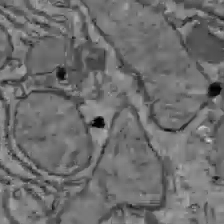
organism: C57BL Mouse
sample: Liver